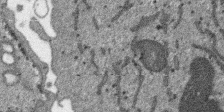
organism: Human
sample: Lung epithelial cells infected with SARS-CoV-2